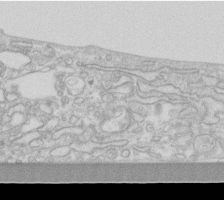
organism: Human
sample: Fibroblast cells